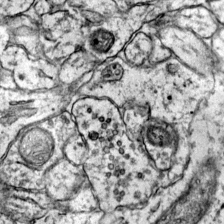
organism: Mouse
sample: Primary visual cortex